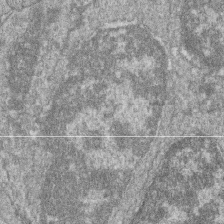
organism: Zebrafish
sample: Cilia; retinal pigment epithelium